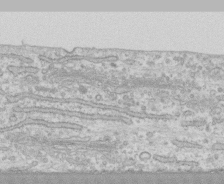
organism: Human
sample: CRL-1474